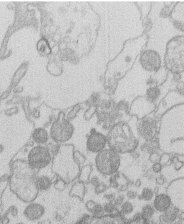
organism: Human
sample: Macrophage cells